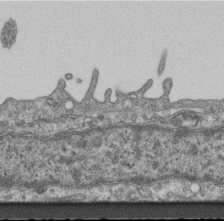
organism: Mouse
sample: Centriole in ependymal cells